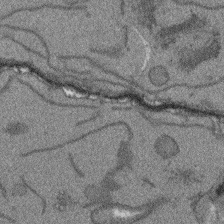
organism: Arabidopsis thaliana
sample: Root tip